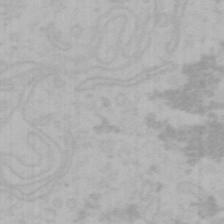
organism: Mouse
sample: Choroid plexus